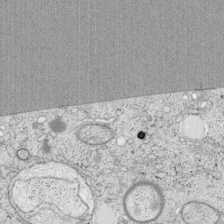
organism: African green monkey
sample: COS-7 cells